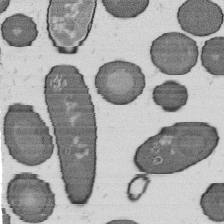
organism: B. subtilis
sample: Bacterial spore